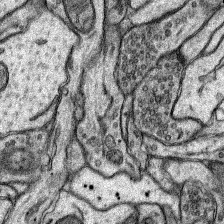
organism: Rat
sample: Hippocampus